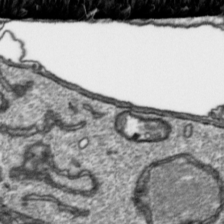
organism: Toxoplasma gondii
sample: Parasites in a vacuole inside a host cell